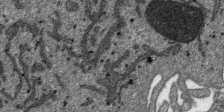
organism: Human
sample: Lung epithelial cells infected with SARS-CoV-2